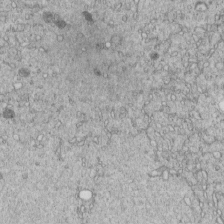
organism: C. elegans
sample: C. elegans embryo early stage